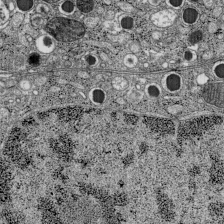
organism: C57BL Mouse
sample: Pancreatic islet